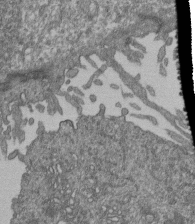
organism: Human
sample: Retinal organoid Rod and Cone cells